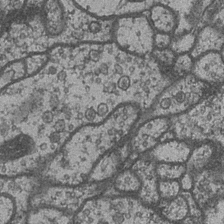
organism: Drosophila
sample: Optic medulla